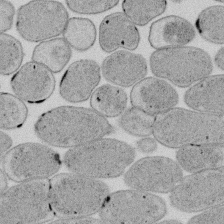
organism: E. coli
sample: Bacterial nucleoid